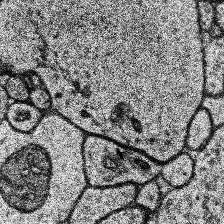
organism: Human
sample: Temporal Lobe